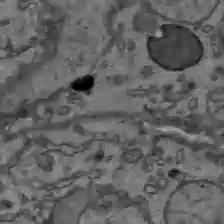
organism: C57BL Mouse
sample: Liver